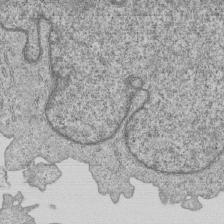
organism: Human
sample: MDA-MB-231 cells